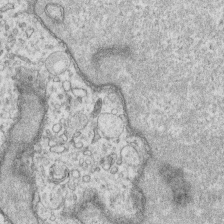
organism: Human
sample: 1205lu cells